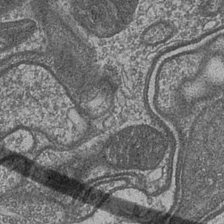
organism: Drosophila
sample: Optic medulla